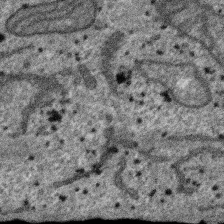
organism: Human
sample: Lung epithelial cells infected with SARS-CoV-2